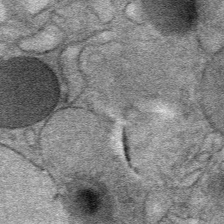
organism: Mouse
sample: Mouse Salivary gland